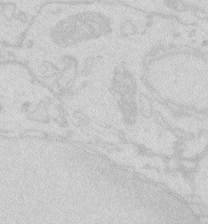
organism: Zebrafish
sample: Macrophage